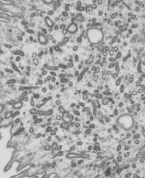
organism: Mouse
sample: Mouse epididymis efferent ductule cilia